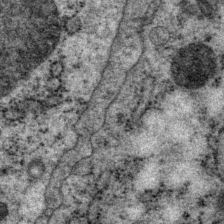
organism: P. pacificus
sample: Pharynx